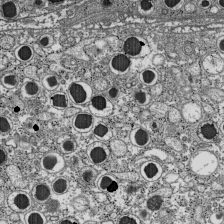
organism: C57BL Mouse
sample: Pancreatic islet